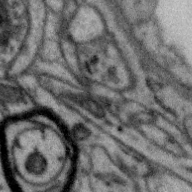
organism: Zebra finch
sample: Brain